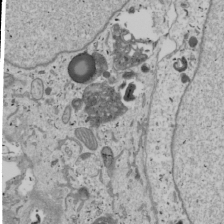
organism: Human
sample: Mitochondria in U2OS cells